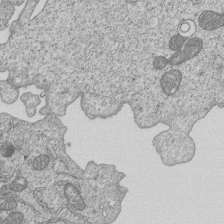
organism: Human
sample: MDA-MB-231 cells